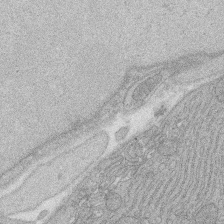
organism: Rat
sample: Salivary granule